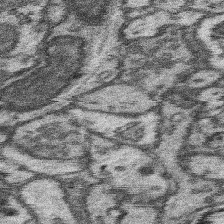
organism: Mouse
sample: Somatosensory cortex neuropil